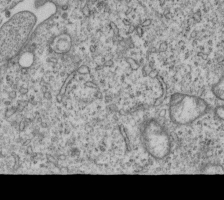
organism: Human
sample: MDA-MB-231 cells